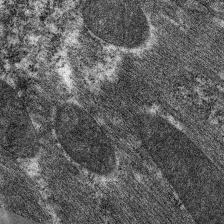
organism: C. elegans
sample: Pharynx